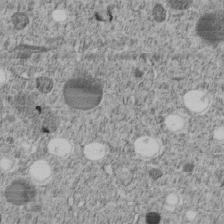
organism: C. elegans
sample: C. elegans embryo early stage